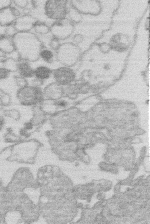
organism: Human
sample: Macrophage cells